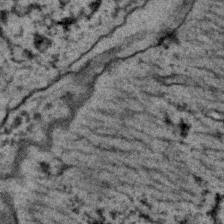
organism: C. elegans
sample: C. elegans embryo